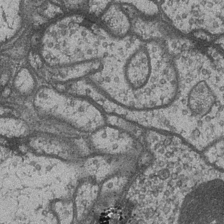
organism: Drosophila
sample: Optic medulla